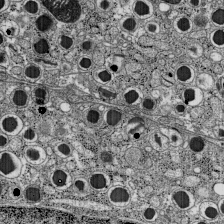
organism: C57BL Mouse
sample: Pancreatic islet